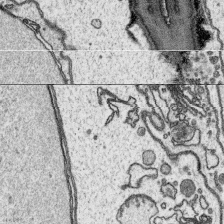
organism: Platynereis dumerilii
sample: Parapodia